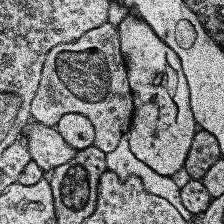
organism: Human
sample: Temporal Lobe